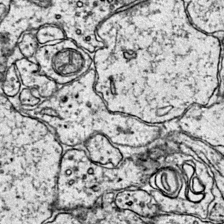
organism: Mouse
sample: Primary visual cortex